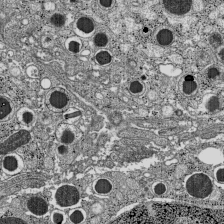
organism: C57BL Mouse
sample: Pancreatic islet